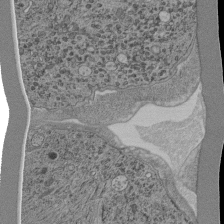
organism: C. elegans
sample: C. elegans pharynx